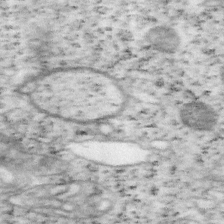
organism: Mouse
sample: OT-I killer T cells with ID8 ovarian cancer cells